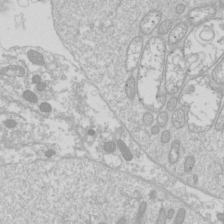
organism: Drosophila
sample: Cell division; meiosis; drosophila spermatocytes